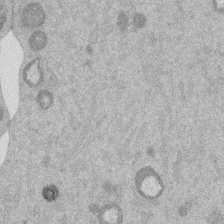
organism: Mouse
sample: Dividing mouse embryo 1 cell stage